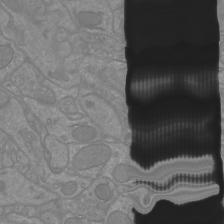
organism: Mouse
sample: Cortical neurons